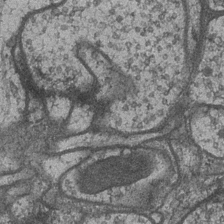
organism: Drosophila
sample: Optic medulla